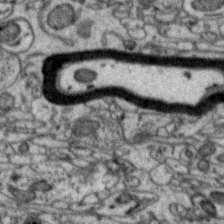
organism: Zebra finch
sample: Brain